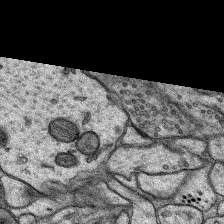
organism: Rat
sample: Hippocampus